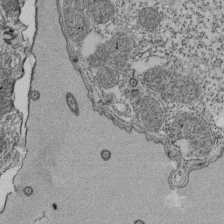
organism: Tetrahymena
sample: Cilia in tetrahymena